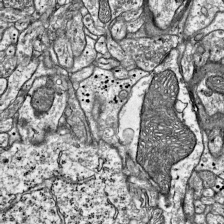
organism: Mouse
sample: Visual Cortex